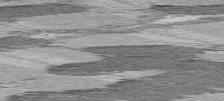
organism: C57BL Mouse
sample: Heart